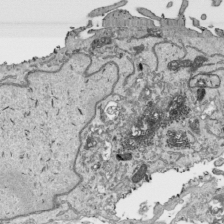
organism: Human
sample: Mitochondria in HCT116 cells